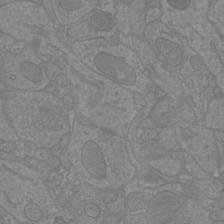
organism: Mouse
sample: Cortical neurons